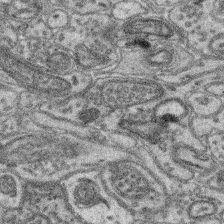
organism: Mouse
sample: Retina